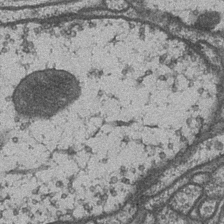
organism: Drosophila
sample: Optic medulla